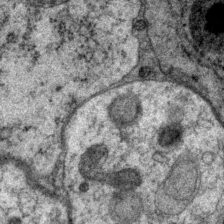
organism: P. pacificus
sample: Pharynx